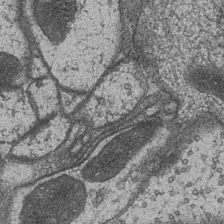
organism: Drosophila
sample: Optic medulla